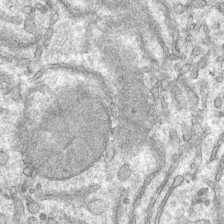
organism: Mouse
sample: Mouse hepatocytes